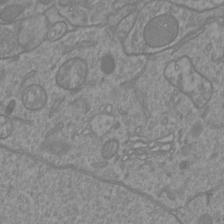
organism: Mouse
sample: Cortical neurons